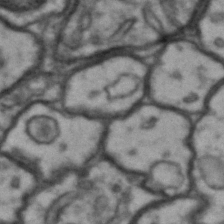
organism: Drosophila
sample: Brain